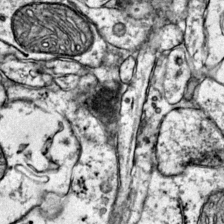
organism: Mouse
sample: Primary visual cortex